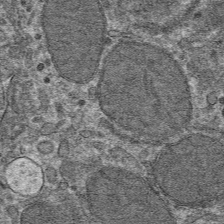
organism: Mouse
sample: Mouse hepatocytes